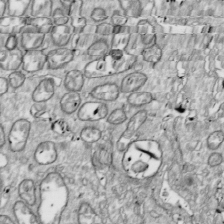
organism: Drosophila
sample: Cell division; meiosis; drosophila spermatocytes